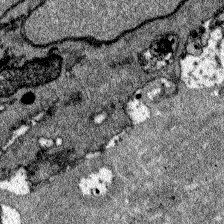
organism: Zebrafish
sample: Larval olfactory bulb